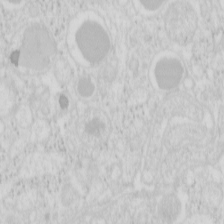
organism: Mouse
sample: Pancreas